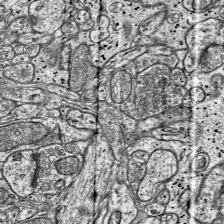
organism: Mouse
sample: Visual Cortex